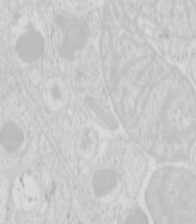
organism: Mouse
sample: Pancreas